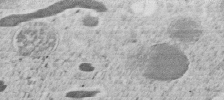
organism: C. elegans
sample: C. elegans embryo early stage